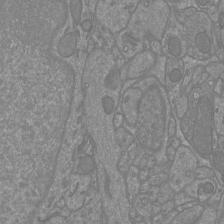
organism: Mouse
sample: Cortical neurons